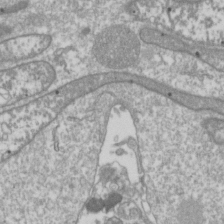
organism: Drosophila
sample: Cell division; meiosis; drosophila spermatocytes